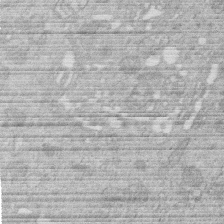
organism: Human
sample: Macrophage cells